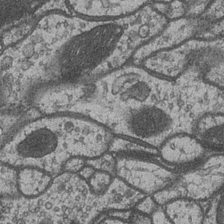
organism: Drosophila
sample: Optic medulla